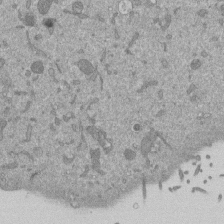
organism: Mouse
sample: ED-1 cell nuclei; centrioles